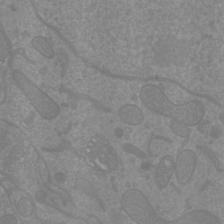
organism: Mouse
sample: Cortical neurons